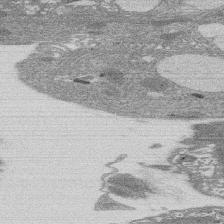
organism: Rat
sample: Salivary granule